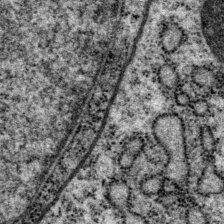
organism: P. pacificus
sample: Pharynx